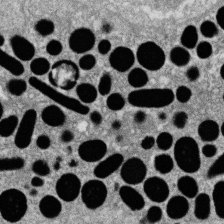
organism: Zebrafish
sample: Cilia; retinal pigment epithelium